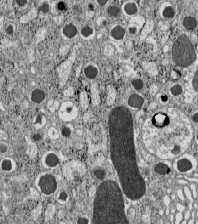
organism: C57BL Mouse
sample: Pancreatic islet